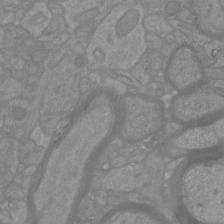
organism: Mouse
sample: Cortical neurons